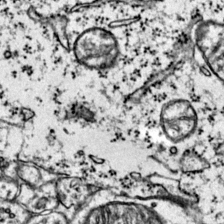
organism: Mouse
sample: Primary visual cortex